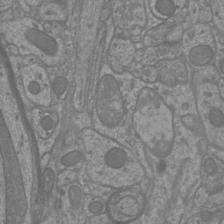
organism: Mouse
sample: Cortical neurons